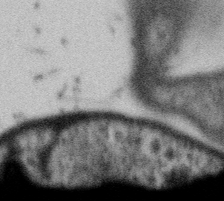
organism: Gemmata obscuriglobus